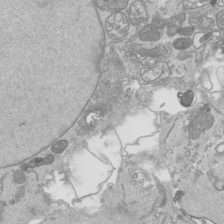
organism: Human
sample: Mitochondria in HCT116 cells